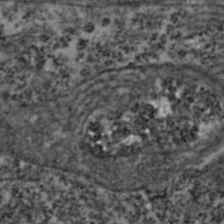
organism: Zebrafish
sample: Zebrafish embryo